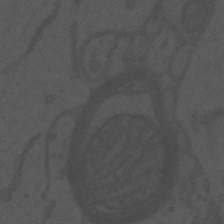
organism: Mouse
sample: Suprachiasmatic nucleus